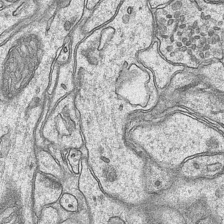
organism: Mouse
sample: CA1 Hippocampus